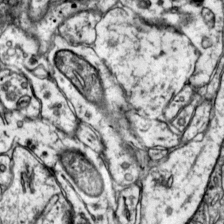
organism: Mouse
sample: Primary visual cortex